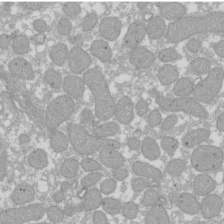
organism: Xenopus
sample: Cilia; centrioles in frog embryo cells